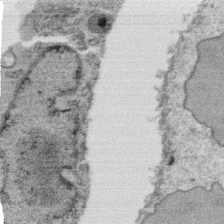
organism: C. elegans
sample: C. elegans oocyte; sperm cells